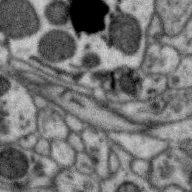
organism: Zebra finch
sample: Brain